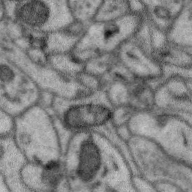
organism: Zebra finch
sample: Brain